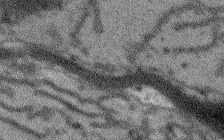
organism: Arabidopsis thaliana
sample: Root tip